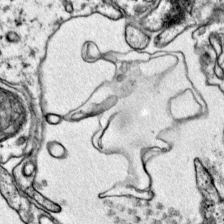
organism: Mouse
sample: Primary visual cortex